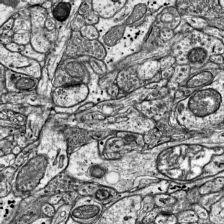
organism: Mouse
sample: Visual Cortex